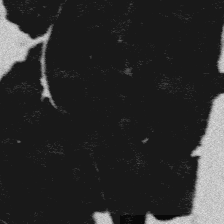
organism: Platynereis dumerilii